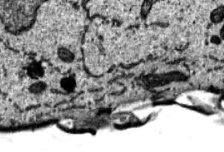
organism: Human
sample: HeLa cells